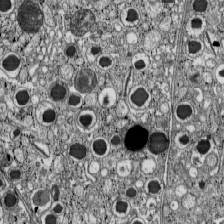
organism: C57BL Mouse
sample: Pancreatic islet